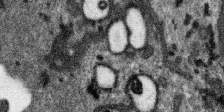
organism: Human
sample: Lung epithelial cells infected with SARS-CoV-2